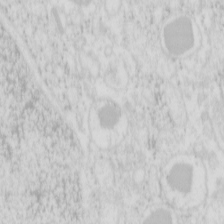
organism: Mouse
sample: Pancreas